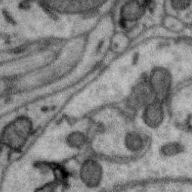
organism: Zebra finch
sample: Brain